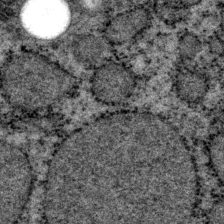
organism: P. pacificus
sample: Pharynx